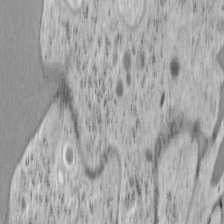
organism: Human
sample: HeLa cells